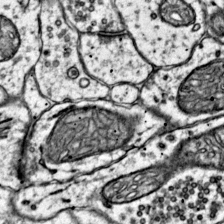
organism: Mouse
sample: Primary visual cortex